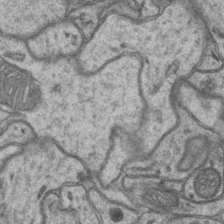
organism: Mouse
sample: CA1 Hippocampus